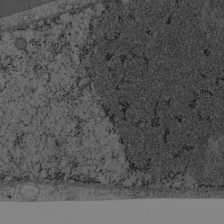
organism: African green monkey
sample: COS-7 cells